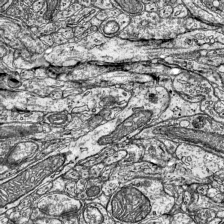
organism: Mouse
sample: Visual Cortex